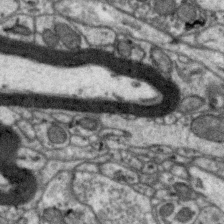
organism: Zebra finch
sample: Brain